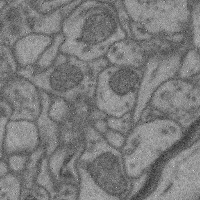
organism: Mouse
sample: Cerebral cortex